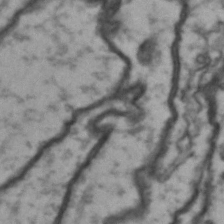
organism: Drosophila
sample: Brain